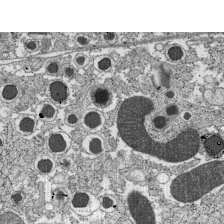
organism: C57BL Mouse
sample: Pancreatic islet